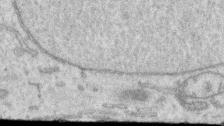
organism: Human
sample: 1205lu cells